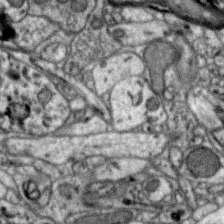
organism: Zebra finch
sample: Brain